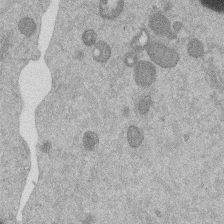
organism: Mouse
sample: Dividing mouse embryo 1 cell stage